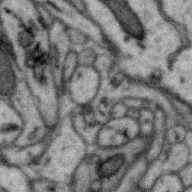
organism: Zebra finch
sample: Brain